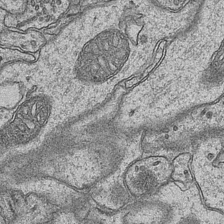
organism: Mouse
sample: CA1 Hippocampus